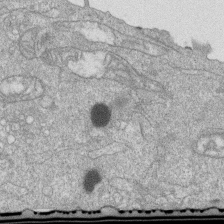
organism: Human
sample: HeLa cell HIV synapse